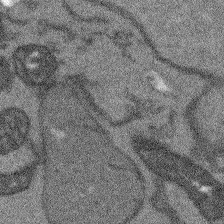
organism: Arabidopsis thaliana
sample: Root tip